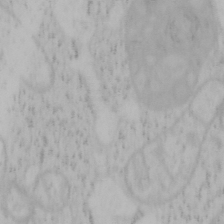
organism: Mouse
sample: OT-I killer T cells with ID8 ovarian cancer cells